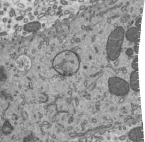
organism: Mouse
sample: Mouse epididymis efferent ductule cilia